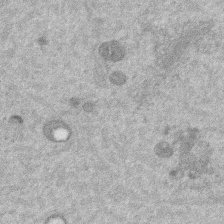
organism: Mouse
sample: Dividing mouse embryo 1 cell stage